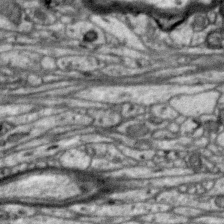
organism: Zebra finch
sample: Brain